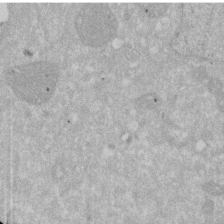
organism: Human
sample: HIV infected U937 cells